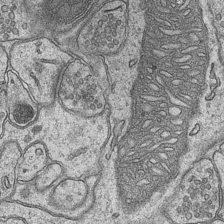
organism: Mouse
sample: CA1 Hippocampus